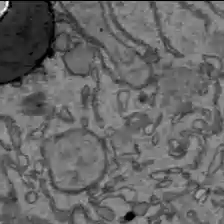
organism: C57BL Mouse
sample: Liver